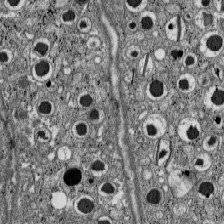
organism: C57BL Mouse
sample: Pancreatic islet